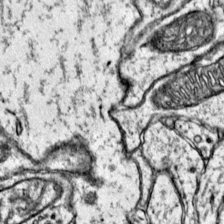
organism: Mouse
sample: Primary visual cortex